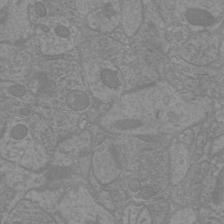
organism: Mouse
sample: Cortical neurons